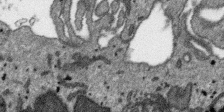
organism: Human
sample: Lung epithelial cells, uninfected (mock) control